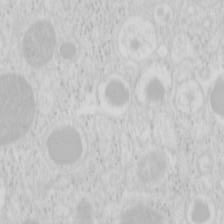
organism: Mouse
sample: Pancreas